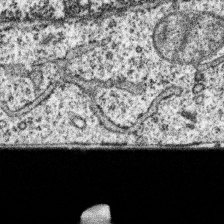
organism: Human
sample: HeLa cells